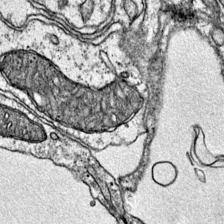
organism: Mouse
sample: Primary visual cortex